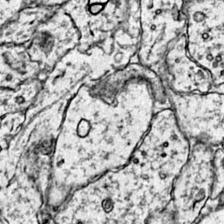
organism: Mouse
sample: Primary visual cortex